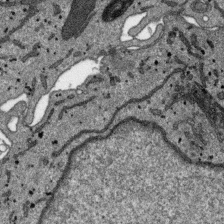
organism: Human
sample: Lung epithelial cells, uninfected (mock) control